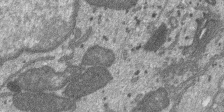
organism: Human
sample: Lung epithelial cells infected with SARS-CoV-2